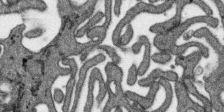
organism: Human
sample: Lung epithelial cells, uninfected (mock) control